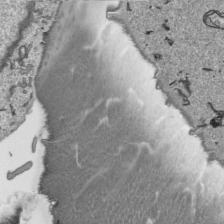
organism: Human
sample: Mitochondria in HCT116 cells